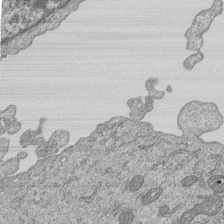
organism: Human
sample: MDA-MB-231 cells